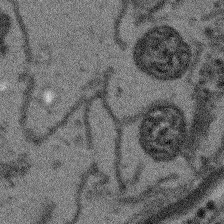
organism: Arabidopsis thaliana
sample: Root tip